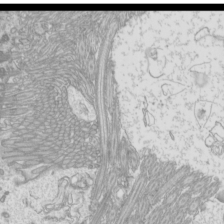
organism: Mouse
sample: Cilia; mouse epididymis